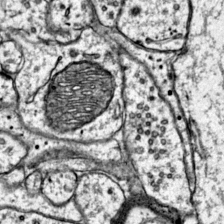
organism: Mouse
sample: Primary visual cortex